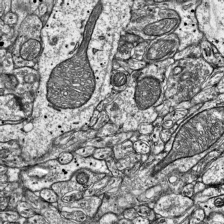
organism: Mouse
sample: Visual Cortex